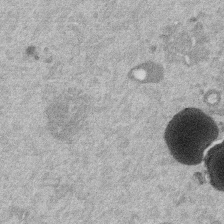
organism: Mouse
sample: Dividing mouse embryo 1 cell stage